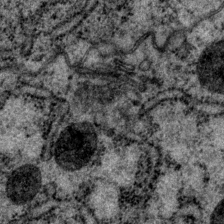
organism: P. pacificus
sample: Pharynx